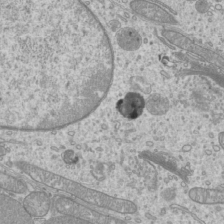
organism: Mouse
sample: Cilia; mouse epididymis